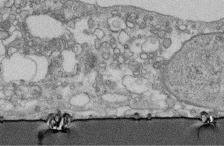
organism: Human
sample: Centriole in fibroblast cells